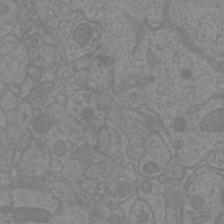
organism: Mouse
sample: Cortical neurons